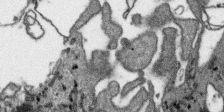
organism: Human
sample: Lung epithelial cells, uninfected (mock) control